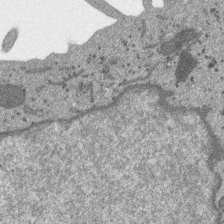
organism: Human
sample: Lung epithelial cells infected with SARS-CoV-2